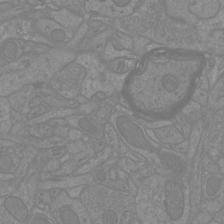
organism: Mouse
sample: Cortical neurons